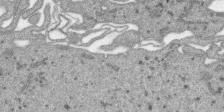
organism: Human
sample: Lung epithelial cells infected with SARS-CoV-2